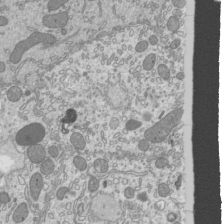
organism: Mouse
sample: Cilia; mouse epididymis